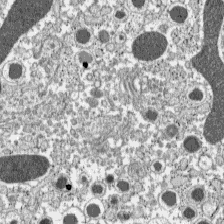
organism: C57BL Mouse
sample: Pancreatic islet